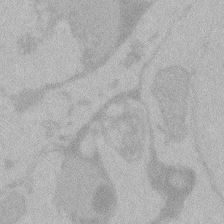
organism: Zebrafish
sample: Macrophage infected with Toxoplasma gondii